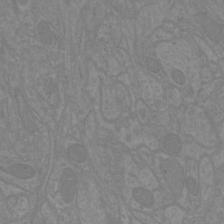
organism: Mouse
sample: Cortical neurons